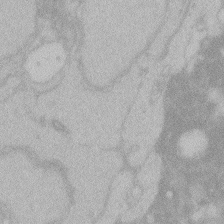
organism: Zebrafish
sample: Macrophage infected with Toxoplasma gondii